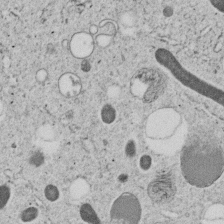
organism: C. elegans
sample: C. elegans embryo early stage